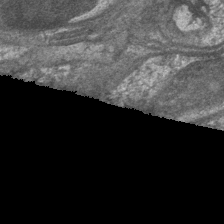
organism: Drosophila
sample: Optic medulla